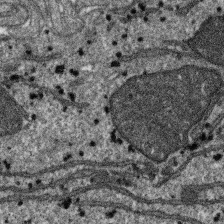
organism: Human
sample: Lung epithelial cells infected with SARS-CoV-2